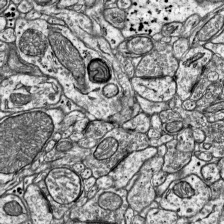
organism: Mouse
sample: Visual Cortex